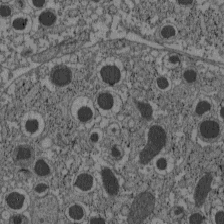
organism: C57BL Mouse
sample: Pancreatic islet